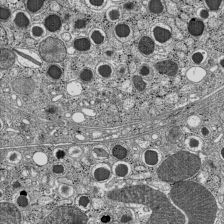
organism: C57BL Mouse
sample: Pancreatic islet